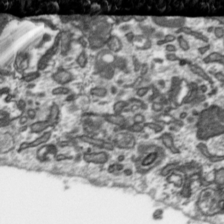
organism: Toxoplasma gondii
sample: Parasites in a vacuole inside a host cell